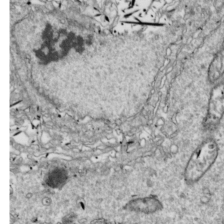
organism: Drosophila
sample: Cell division; meiosis; drosophila spermatocytes